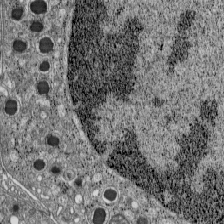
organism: C57BL Mouse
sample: Pancreatic islet